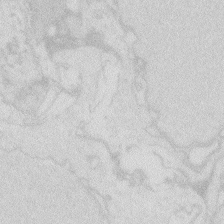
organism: Zebrafish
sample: Macrophage